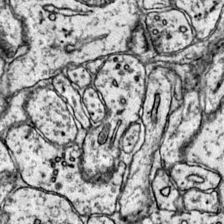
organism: Mouse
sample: Primary visual cortex